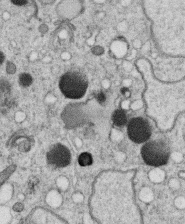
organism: C. elegans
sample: C. elegans oocyte; sperm cells